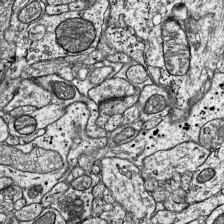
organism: Mouse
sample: Visual Cortex